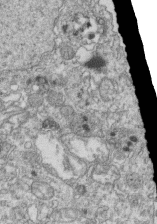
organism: Human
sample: HeLa cell HIV synapse